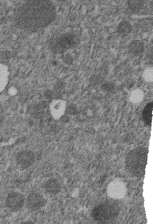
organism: C. elegans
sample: C. elegans embryo early stage